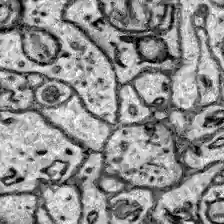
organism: Zebrafish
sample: Brain